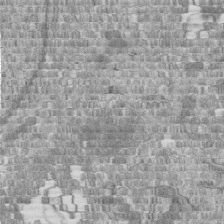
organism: Human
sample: Centriole in fibroblast cells